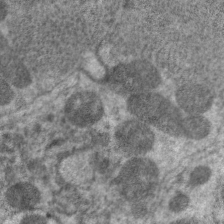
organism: C. elegans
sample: Pharynx